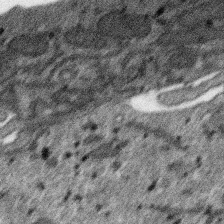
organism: Human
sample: Lung epithelial cells infected with SARS-CoV-2